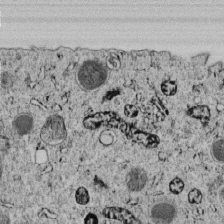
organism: C. elegans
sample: C. elegans embryo early stage